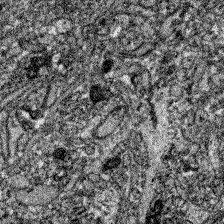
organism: Zebrafish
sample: Larval olfactory bulb